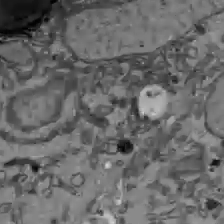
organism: C57BL Mouse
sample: Liver